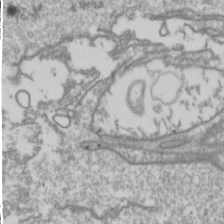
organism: Drosophila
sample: Cell division; meiosis; drosophila spermatocytes